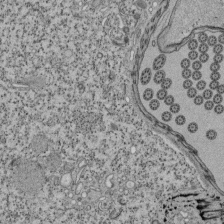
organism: Tetrahymena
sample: Cilia in tetrahymena